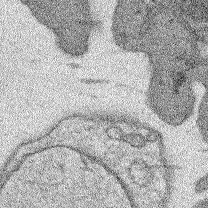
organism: Human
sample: HeLa cells